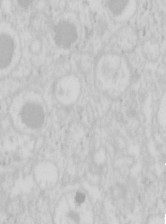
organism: Mouse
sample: Pancreas